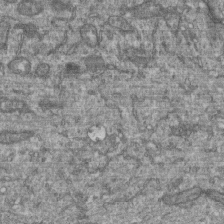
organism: Human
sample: Retinal organoid Rod and Cone cells